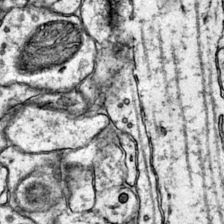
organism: Mouse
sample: Primary visual cortex